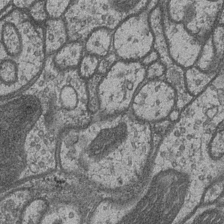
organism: Drosophila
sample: Optic medulla